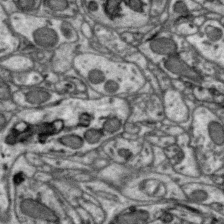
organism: Zebra finch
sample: Brain